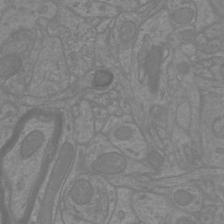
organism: Mouse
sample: Cortical neurons